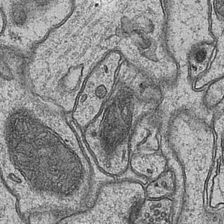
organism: Mouse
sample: CA1 Hippocampus